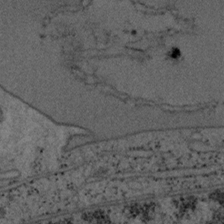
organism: Human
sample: HeLa cells